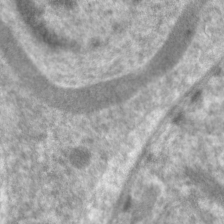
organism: C. elegans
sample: Pharynx